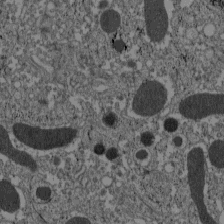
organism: C57BL Mouse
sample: Pancreatic islet